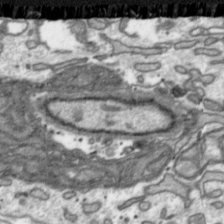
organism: Toxoplasma gondii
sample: Parasites in a vacuole inside a host cell